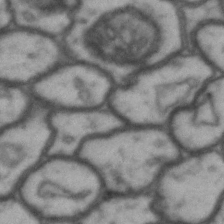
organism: Drosophila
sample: Brain